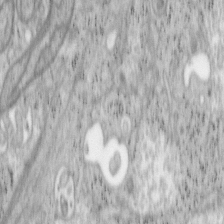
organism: Human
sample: HeLa cells